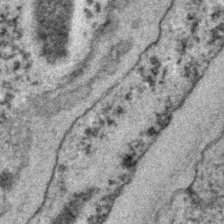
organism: C. elegans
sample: C. elegans embryo